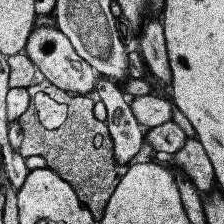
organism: Human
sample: Temporal Lobe